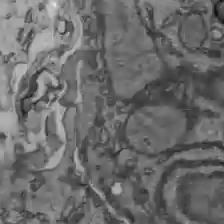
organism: C57BL Mouse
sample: Liver